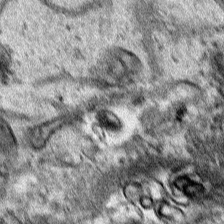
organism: Human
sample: Mitochondria in HCT116 cells